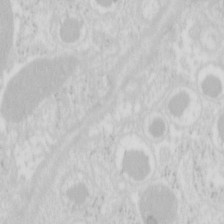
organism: Mouse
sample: Pancreas